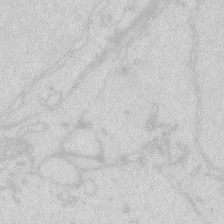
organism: Zebrafish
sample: Macrophage